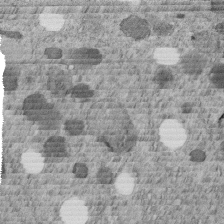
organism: C. elegans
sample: C. elegans embryo early stage